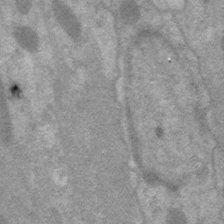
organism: C. elegans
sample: Pharynx